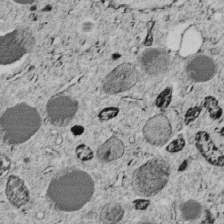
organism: C. elegans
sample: C. elegans embryo early stage